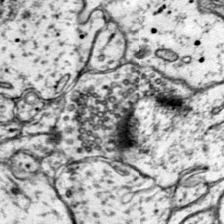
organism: Mouse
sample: Primary visual cortex